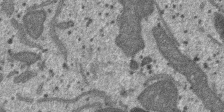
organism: Human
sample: Lung epithelial cells infected with SARS-CoV-2